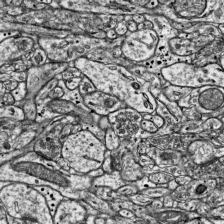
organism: Mouse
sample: Visual Cortex